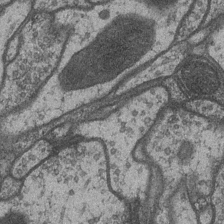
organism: Drosophila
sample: Optic medulla